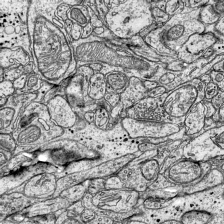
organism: Mouse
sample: Visual Cortex